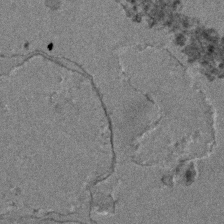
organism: Zebrafish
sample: Zebrafish embryo